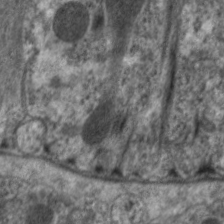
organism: C. elegans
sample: Pharynx